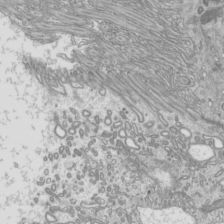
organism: Mouse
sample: Cilia; mouse epididymis